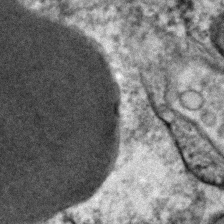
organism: Human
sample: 1205lu cells